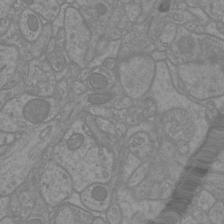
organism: Mouse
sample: Cortical neurons